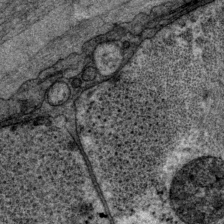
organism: P. pacificus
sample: Pharynx